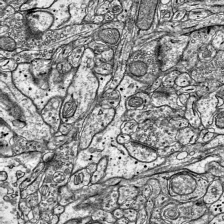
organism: Mouse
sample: Visual Cortex